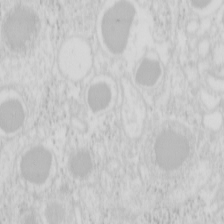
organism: Mouse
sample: Pancreas